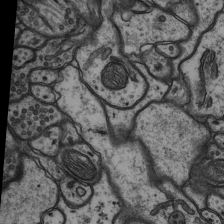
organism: Rat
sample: Hippocampus